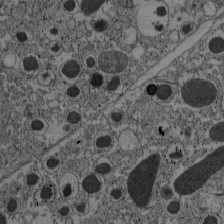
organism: C57BL Mouse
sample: Pancreatic islet